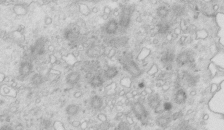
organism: Mouse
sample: Multiciliated cells